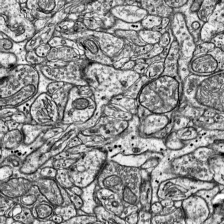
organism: Mouse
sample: Visual Cortex